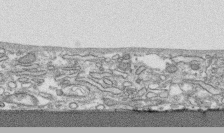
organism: Human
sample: CRL-1474